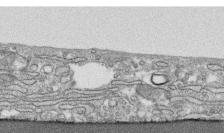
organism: Human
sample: CRL-1474